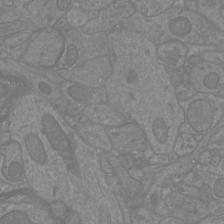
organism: Mouse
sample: Cortical neurons